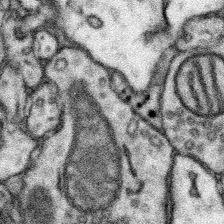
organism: Mouse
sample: Somatosensory cortex neuropil